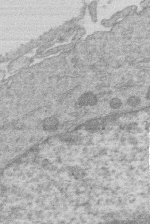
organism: Human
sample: Macrophage cells